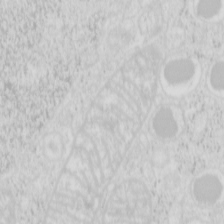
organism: Mouse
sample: Pancreas